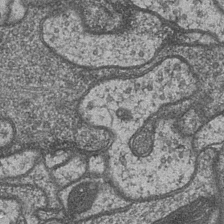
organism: Drosophila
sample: Optic medulla